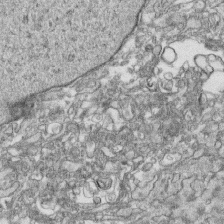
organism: Human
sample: CRL-1474